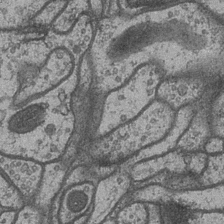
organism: Drosophila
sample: Optic medulla